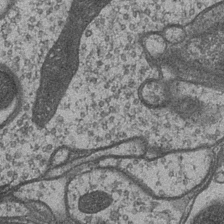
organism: Drosophila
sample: Optic medulla